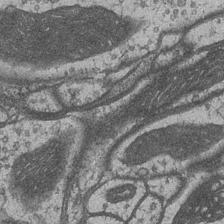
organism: Drosophila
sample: Optic medulla